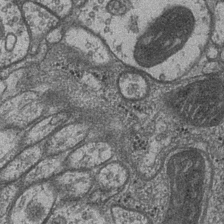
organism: Drosophila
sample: Optic medulla